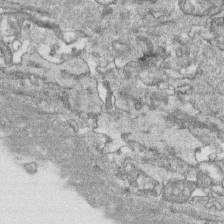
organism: Human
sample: CRL-1474